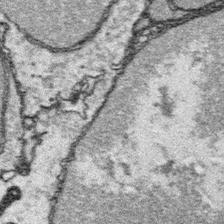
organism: Platynereis dumerilii